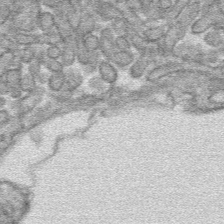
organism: Mouse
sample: Mouse hepatocytes